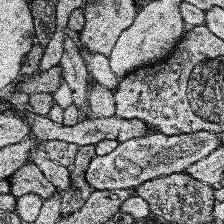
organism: Human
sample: Temporal Lobe